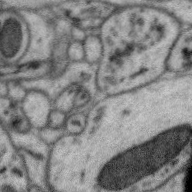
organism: Zebra finch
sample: Brain